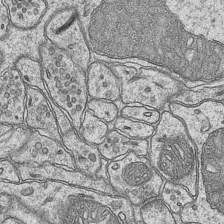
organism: Mouse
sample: CA1 Hippocampus